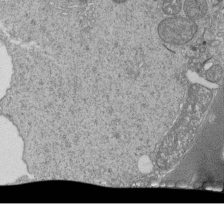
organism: Tetrahymena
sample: Cilia in tetrahymena